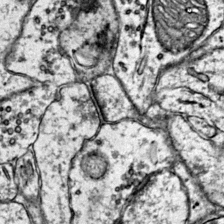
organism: Mouse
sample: Primary visual cortex